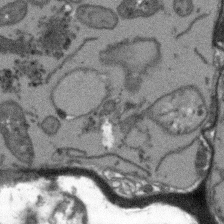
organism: Arabidopsis thaliana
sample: Root tip